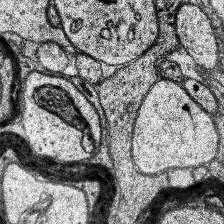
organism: Human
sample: Temporal Lobe